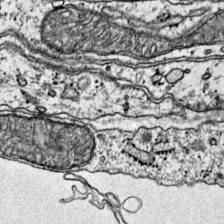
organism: Mouse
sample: Primary visual cortex